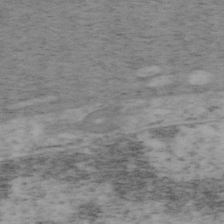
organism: Mouse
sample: OT-I killer T cells with ID8 ovarian cancer cells